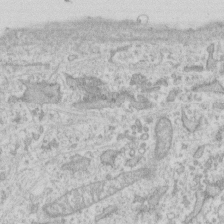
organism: Human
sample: Fibroblast cells